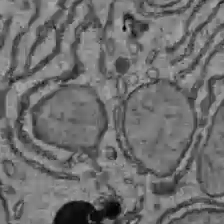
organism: C57BL Mouse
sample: Liver